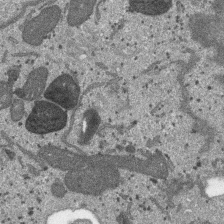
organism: Human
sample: Lung epithelial cells infected with SARS-CoV-2